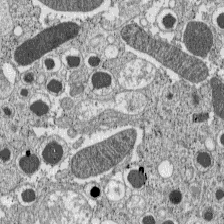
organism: C57BL Mouse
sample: Pancreatic islet